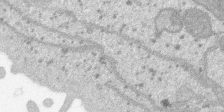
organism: Human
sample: Lung epithelial cells infected with SARS-CoV-2